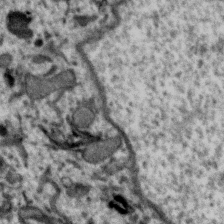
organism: Zebra finch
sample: Brain